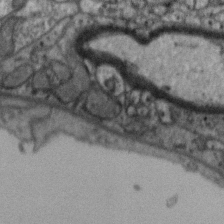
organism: Zebra finch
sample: Brain